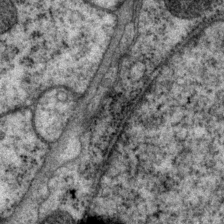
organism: P. pacificus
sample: Pharynx